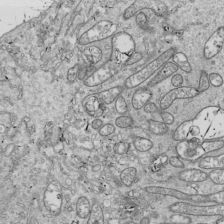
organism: Drosophila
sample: Cell division; meiosis; drosophila spermatocytes